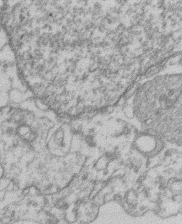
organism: Mouse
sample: T cell stromal cell synapse